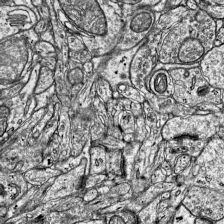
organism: Mouse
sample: Visual Cortex